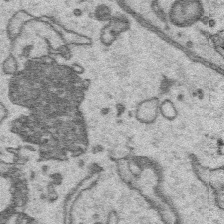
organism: Platynereis dumerilii